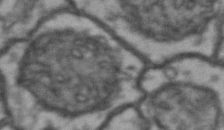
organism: Drosophila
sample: Brain